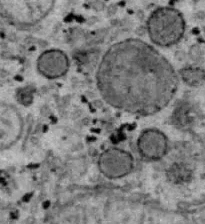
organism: Mouse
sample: Liver from an obese (ob/ob) mouse